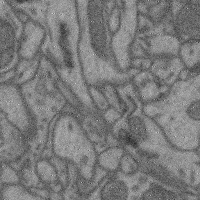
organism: Mouse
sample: Cerebral cortex